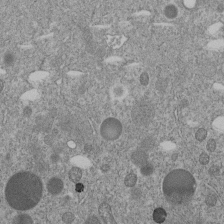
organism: C. elegans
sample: C. elegans embryo early stage